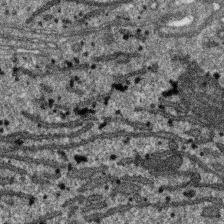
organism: Human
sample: Lung epithelial cells infected with SARS-CoV-2